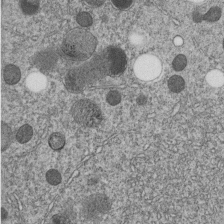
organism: C. elegans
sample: C. elegans embryo early stage